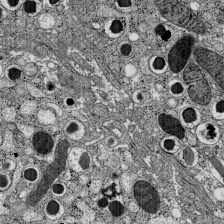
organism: C57BL Mouse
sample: Pancreatic islet